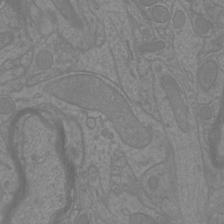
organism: Mouse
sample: Cortical neurons